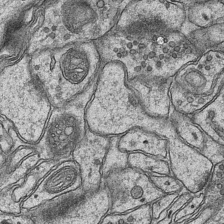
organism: Mouse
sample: CA1 Hippocampus